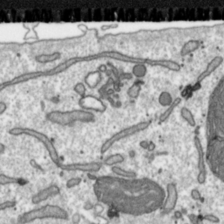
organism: Toxoplasma gondii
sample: Parasites in a vacuole inside a host cell